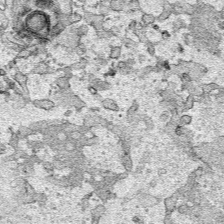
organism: Human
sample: Mitochondria in HCT116 cells